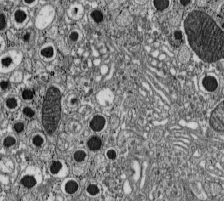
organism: C57BL Mouse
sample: Pancreatic islet